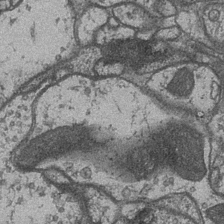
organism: Drosophila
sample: Optic medulla